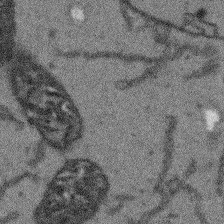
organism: Arabidopsis thaliana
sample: Root tip